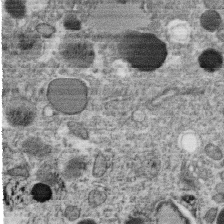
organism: C. elegans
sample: C. elegans oocyte; sperm cells